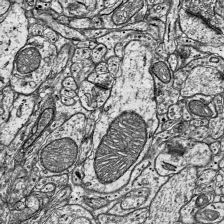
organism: Mouse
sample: Visual Cortex